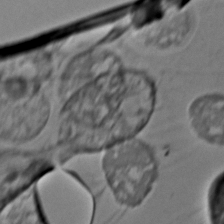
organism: C. elegans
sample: C. elegans embryo